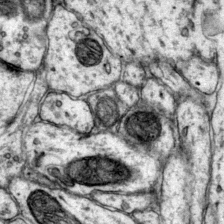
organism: Mouse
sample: Primary visual cortex